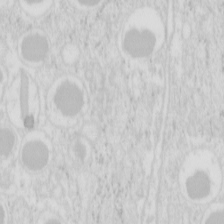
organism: Mouse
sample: Pancreas